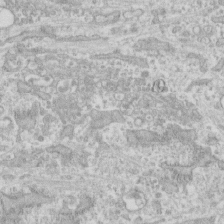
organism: Human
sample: CRL-1474